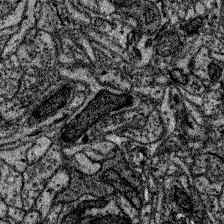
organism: Zebrafish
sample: Larval olfactory bulb